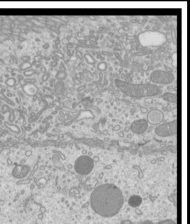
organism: Mouse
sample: Cilia; mouse epididymis